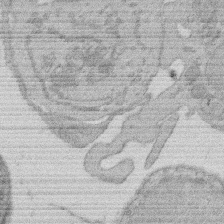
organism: Rat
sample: Salivary granule